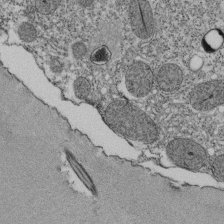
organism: Tetrahymena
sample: Cilia in tetrahymena